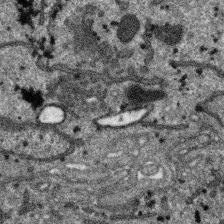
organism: Human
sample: Lung epithelial cells infected with SARS-CoV-2